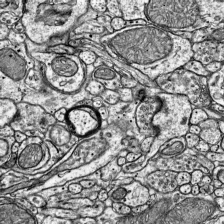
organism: Mouse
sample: Visual Cortex